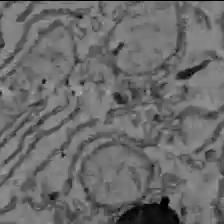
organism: C57BL Mouse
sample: Liver